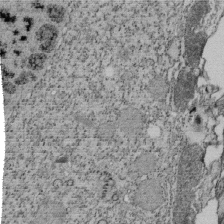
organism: Tetrahymena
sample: Cilia in tetrahymena